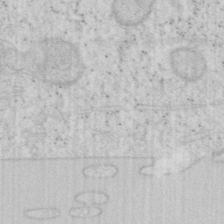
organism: Human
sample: HeLa cells